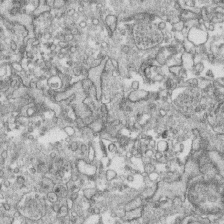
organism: Human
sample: CRL-1474